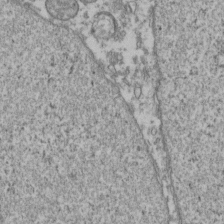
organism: Human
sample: Activated Jurkat CD4+ T cells